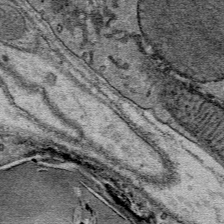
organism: Mouse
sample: Mouse Salivary gland